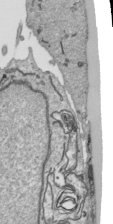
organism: Human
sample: Mitochondria in HCT116 cells